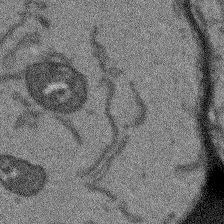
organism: Arabidopsis thaliana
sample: Root tip